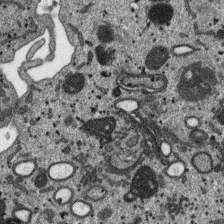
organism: Human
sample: Lung epithelial cells infected with SARS-CoV-2